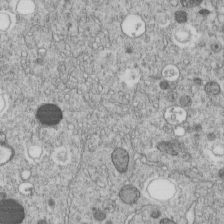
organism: C. elegans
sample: C. elegans embryo early stage